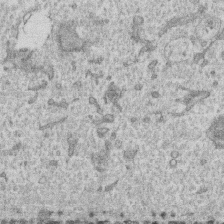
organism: Human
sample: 1205lu cells